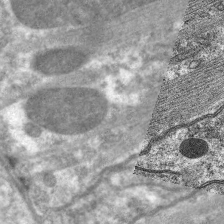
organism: C. elegans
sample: Pharynx